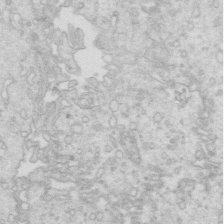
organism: Mouse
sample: Multiciliated cells